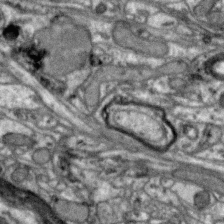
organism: Zebra finch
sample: Brain